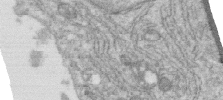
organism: Human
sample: Centriole in RPE cells